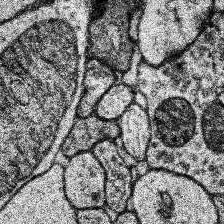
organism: Human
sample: Temporal Lobe